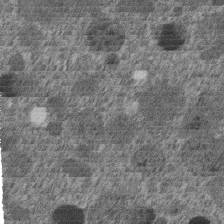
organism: C. elegans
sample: C. elegans embryo early stage